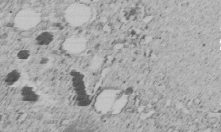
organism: C. elegans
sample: C. elegans embryo early stage